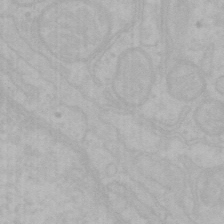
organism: Mouse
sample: Choroid plexus